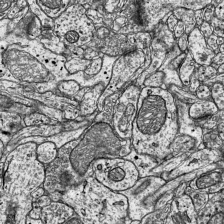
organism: Mouse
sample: Visual Cortex